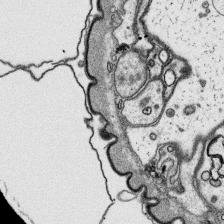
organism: Platynereis dumerilii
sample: Parapodia